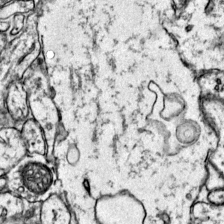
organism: Mouse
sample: Primary visual cortex